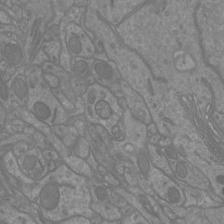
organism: Mouse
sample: Cortical neurons